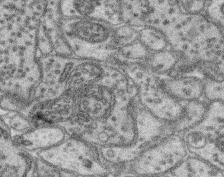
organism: Mouse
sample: Retina